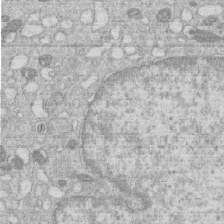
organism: Human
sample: Macrophage cells